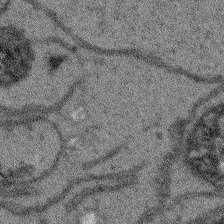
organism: Arabidopsis thaliana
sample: Root tip